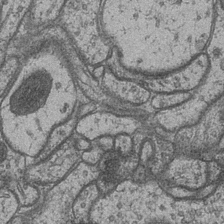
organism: Drosophila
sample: Optic medulla